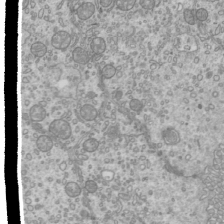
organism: Mouse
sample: Cilia; mouse epididymis